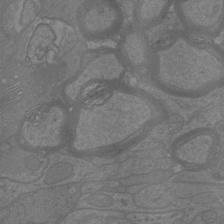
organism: Mouse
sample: Cortical neurons